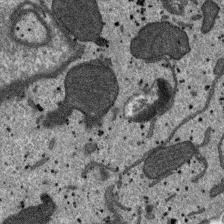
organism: Human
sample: Lung epithelial cells, uninfected (mock) control